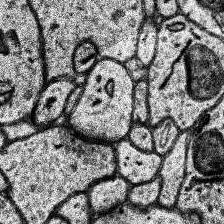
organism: Human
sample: Temporal Lobe